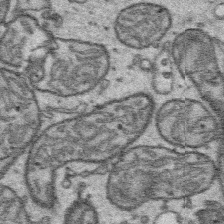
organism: Platynereis dumerilii